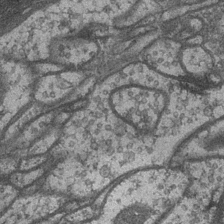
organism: Drosophila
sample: Optic medulla